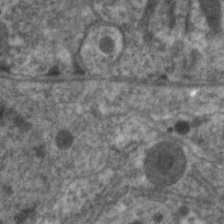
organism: C. elegans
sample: Pharynx